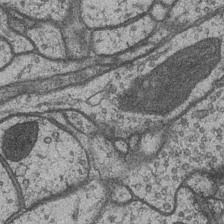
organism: Drosophila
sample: Optic medulla